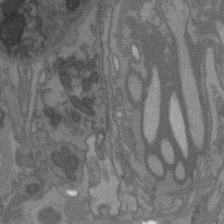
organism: C. elegans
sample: AFD neurons C. elegans